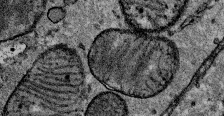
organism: Mouse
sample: Mouse Salivary gland